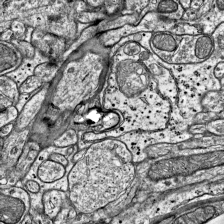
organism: Mouse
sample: Visual Cortex